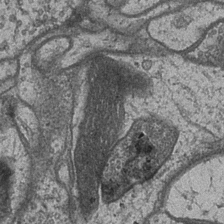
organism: Drosophila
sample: Optic medulla